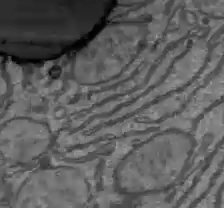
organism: C57BL Mouse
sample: Liver